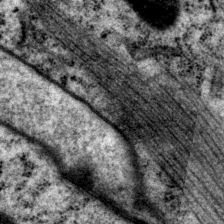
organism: P. pacificus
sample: Pharynx